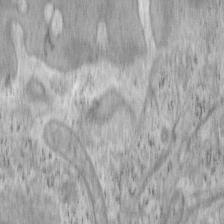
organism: Human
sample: HeLa cells